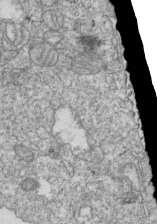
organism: Human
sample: HeLa cell HIV synapse